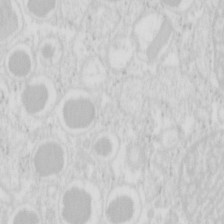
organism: Mouse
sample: Pancreas